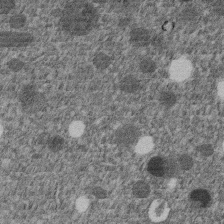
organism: C. elegans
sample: C. elegans embryo early stage